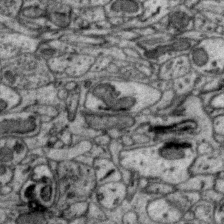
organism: Zebra finch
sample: Brain